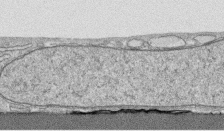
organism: Human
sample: CRL-1474